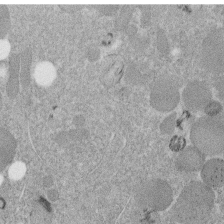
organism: C. elegans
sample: C. elegans embryo early stage